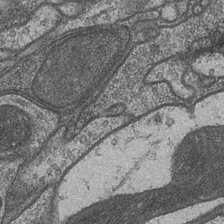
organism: Drosophila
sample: Optic medulla